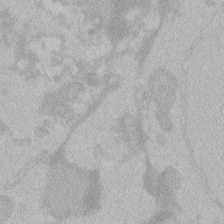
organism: Zebrafish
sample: Macrophage infected with Toxoplasma gondii